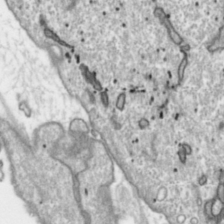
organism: Toxoplasma gondii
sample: Parasites in a vacuole inside a host cell